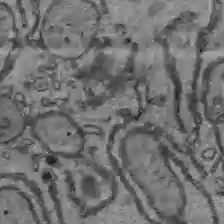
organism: C57BL Mouse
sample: Liver